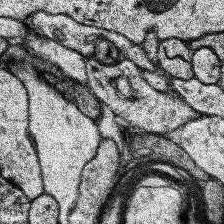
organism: Human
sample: Temporal Lobe